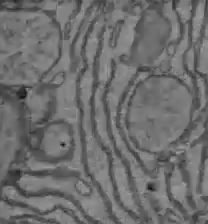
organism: C57BL Mouse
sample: Liver